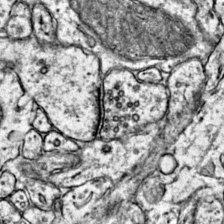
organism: Mouse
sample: Primary visual cortex